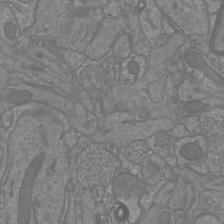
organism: Mouse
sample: Cortical neurons